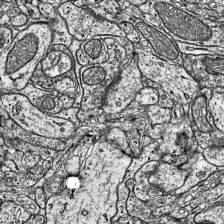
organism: Mouse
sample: Visual Cortex